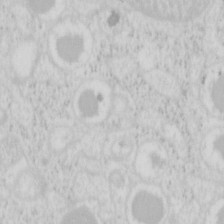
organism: Mouse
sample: Pancreas